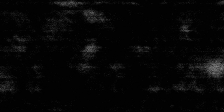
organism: Human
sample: Lung epithelial cells infected with SARS-CoV-2